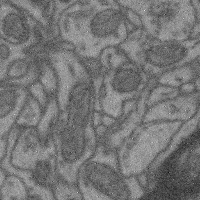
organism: Mouse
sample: Cerebral cortex